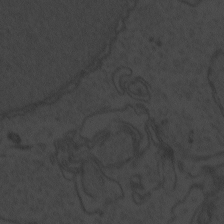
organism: Zebrafish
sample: Macrophage infected with Toxoplasma gondii